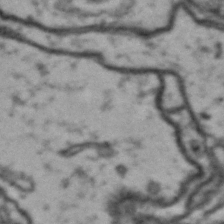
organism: Drosophila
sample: Brain